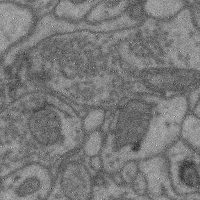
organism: Mouse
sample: Cerebral cortex